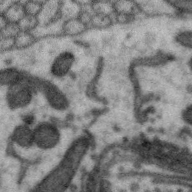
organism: Zebra finch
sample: Brain